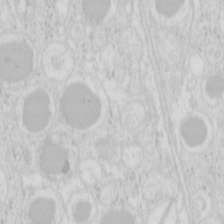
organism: Mouse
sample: Pancreas